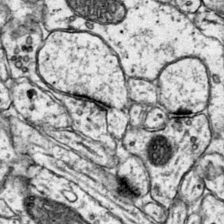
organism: Mouse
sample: Primary visual cortex